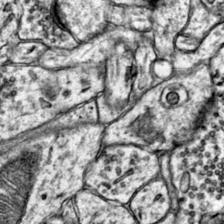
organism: Mouse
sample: Primary visual cortex